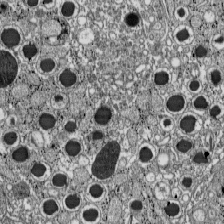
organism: C57BL Mouse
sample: Pancreatic islet